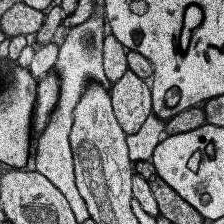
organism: Human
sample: Temporal Lobe